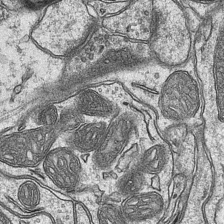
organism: Mouse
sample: CA1 Hippocampus